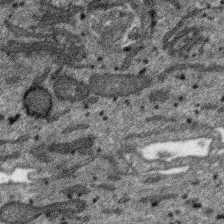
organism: Human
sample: Lung epithelial cells infected with SARS-CoV-2